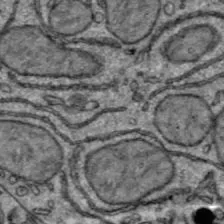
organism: C57BL Mouse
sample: Liver